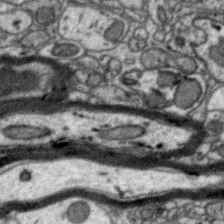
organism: Zebra finch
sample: Brain